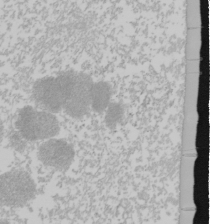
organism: Mouse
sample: Cancer cell death in ED-1 cells